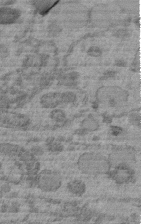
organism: C. elegans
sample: C. elegans embryo early stage